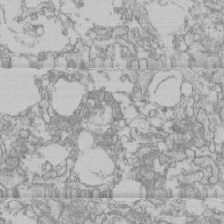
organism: Human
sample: CRL-1474